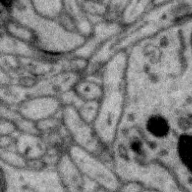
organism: Zebra finch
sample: Brain